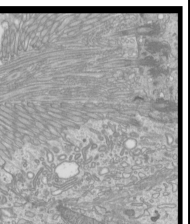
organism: Mouse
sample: Cilia; mouse epididymis